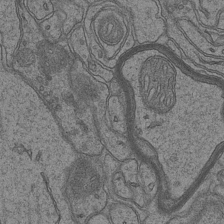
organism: Mouse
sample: CA1 Hippocampus